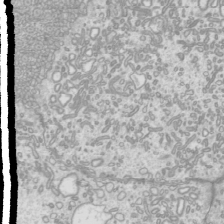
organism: Mouse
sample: Cilia; mouse epididymis